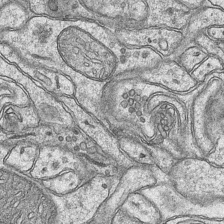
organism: Mouse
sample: CA1 Hippocampus